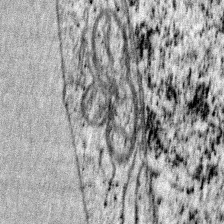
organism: Human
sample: HeLa cells